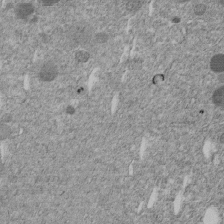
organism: C. elegans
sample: C. elegans embryo early stage